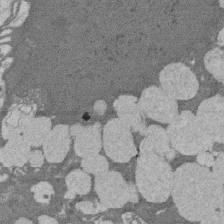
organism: Rat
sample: Salivary granule